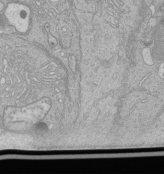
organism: Human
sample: Retinal organoid Rod and Cone cells